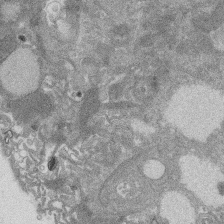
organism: Rat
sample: Salivary granule